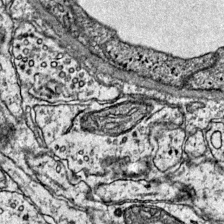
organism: Mouse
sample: Primary visual cortex